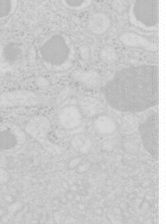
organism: Mouse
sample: Pancreas